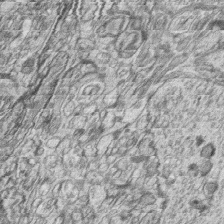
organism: Zebrafish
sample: synaptic ribbons in rod cells and cone cells